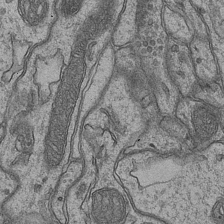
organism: Mouse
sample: CA1 Hippocampus